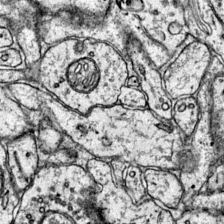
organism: Mouse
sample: Primary visual cortex